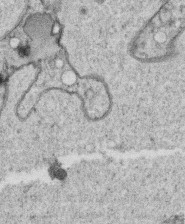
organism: C. elegans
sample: C. elegans oocyte; sperm cells